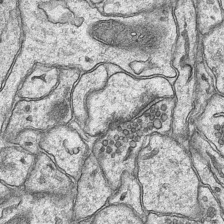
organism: Mouse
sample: CA1 Hippocampus